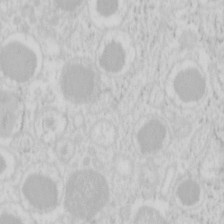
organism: Mouse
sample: Pancreas